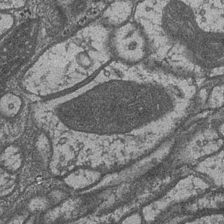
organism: Drosophila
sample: Optic medulla